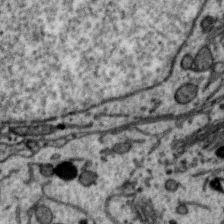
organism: Zebra finch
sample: Brain